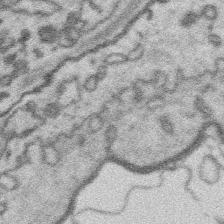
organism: Platynereis dumerilii